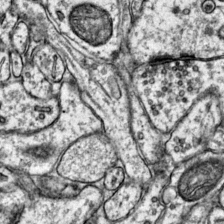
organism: Mouse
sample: Primary visual cortex